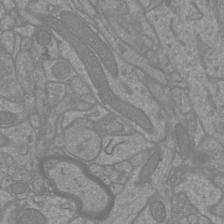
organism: Mouse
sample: Cortical neurons